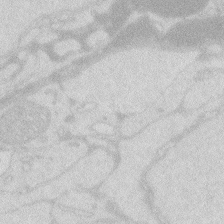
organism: Zebrafish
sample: Macrophage